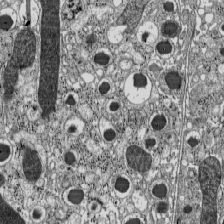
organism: C57BL Mouse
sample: Pancreatic islet